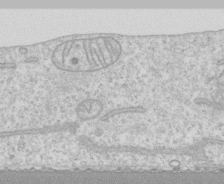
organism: Human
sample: CRL-1474